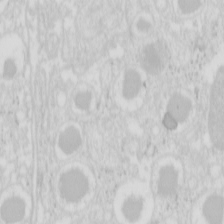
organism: Mouse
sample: Pancreas